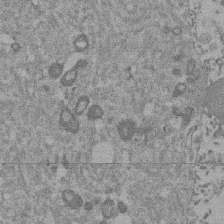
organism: Mouse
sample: Dividing mouse embryo 1 cell stage